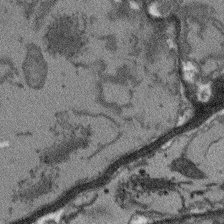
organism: Arabidopsis thaliana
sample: Root tip